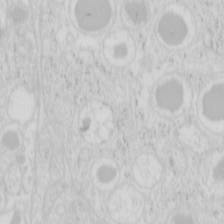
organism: Mouse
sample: Pancreas